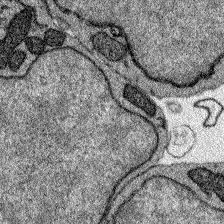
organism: Zebrafish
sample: Larval olfactory bulb